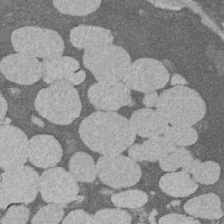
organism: Rat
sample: Salivary granule